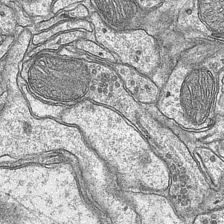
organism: Mouse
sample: CA1 Hippocampus